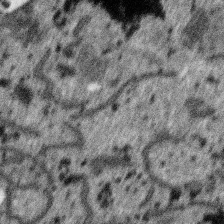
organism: Human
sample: Lung epithelial cells infected with SARS-CoV-2